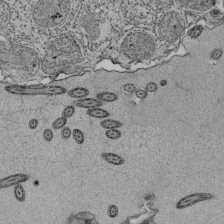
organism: Tetrahymena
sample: Cilia in tetrahymena